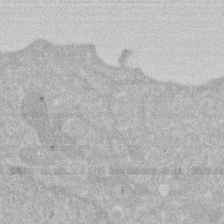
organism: Human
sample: HIV infected U937 cells